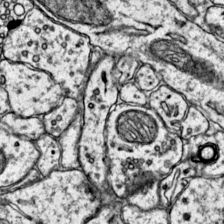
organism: Mouse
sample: Primary visual cortex